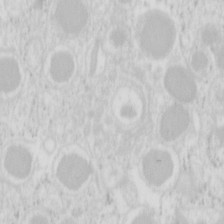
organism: Mouse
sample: Pancreas